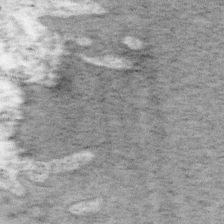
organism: Mouse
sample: OT-I killer T cells with ID8 ovarian cancer cells